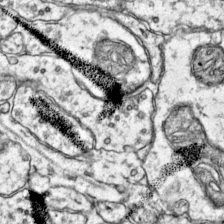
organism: Mouse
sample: Primary visual cortex